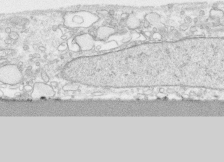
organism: Human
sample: CRL-1474